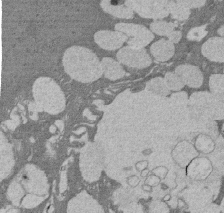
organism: Rat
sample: Salivary granule